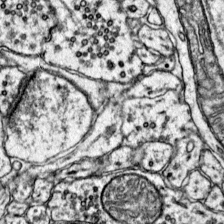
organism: Mouse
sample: Primary visual cortex